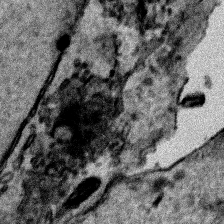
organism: Human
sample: Mitochondria in HCT116 cells